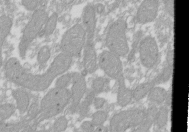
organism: Xenopus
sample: Cilia; centrioles in frog embryo cells